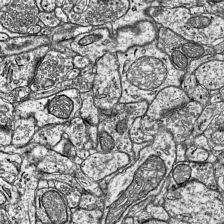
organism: Mouse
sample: Visual Cortex